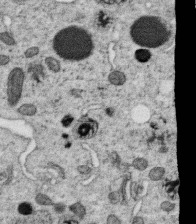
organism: C. elegans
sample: C. elegans oocyte; sperm cells